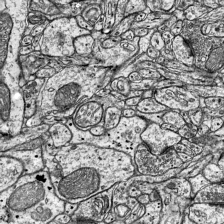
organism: Mouse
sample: Visual Cortex